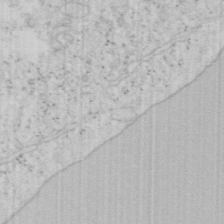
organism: Human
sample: HeLa cells